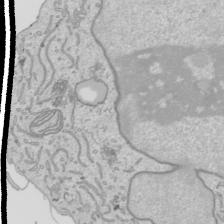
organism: Human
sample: Mitochondria in HCT116 cells